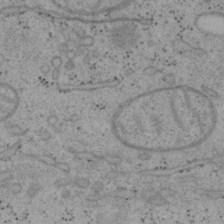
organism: Human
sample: HeLa cells